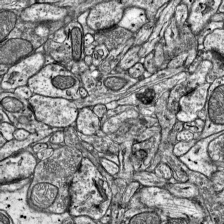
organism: Mouse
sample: Visual Cortex